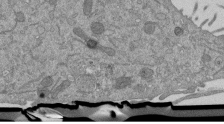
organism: Mouse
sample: ED-1 cell nuclei; centrioles